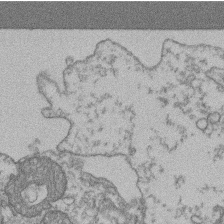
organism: Mouse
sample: T cell stromal cell synapse